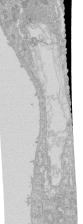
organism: Human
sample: Caco-2 cells